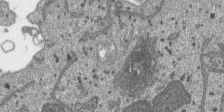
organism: Human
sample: Lung epithelial cells infected with SARS-CoV-2